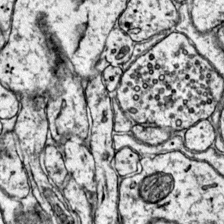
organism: Mouse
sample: Primary visual cortex